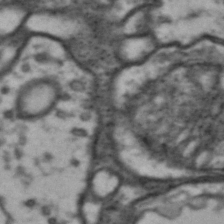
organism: Drosophila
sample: Brain